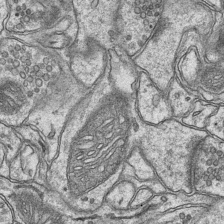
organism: Mouse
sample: CA1 Hippocampus